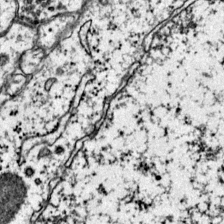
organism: Mouse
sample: Primary visual cortex